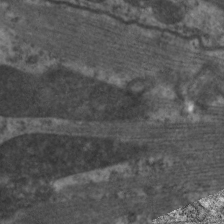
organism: C. elegans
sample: Pharynx